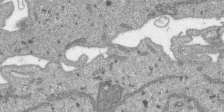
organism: Human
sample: Lung epithelial cells infected with SARS-CoV-2